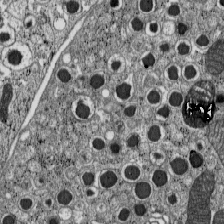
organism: C57BL Mouse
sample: Pancreatic islet